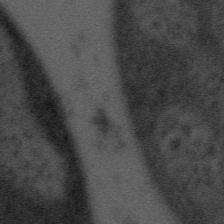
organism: Tuwongella immobilis